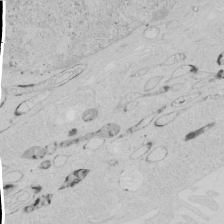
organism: Human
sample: Mitochondria in HCT116 cells